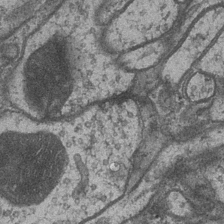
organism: Drosophila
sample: Optic medulla